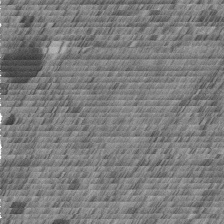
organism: C. elegans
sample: C. elegans embryo early stage